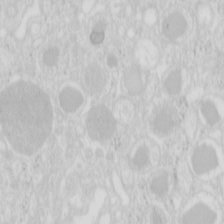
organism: Mouse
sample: Pancreas